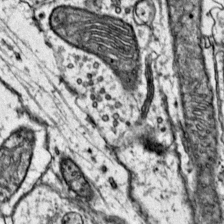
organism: Mouse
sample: Primary visual cortex